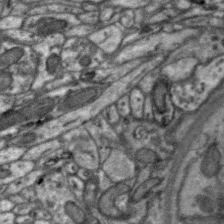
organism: Zebra finch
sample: Brain